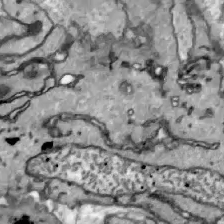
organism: Zebrafish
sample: Actinotrichia fibers